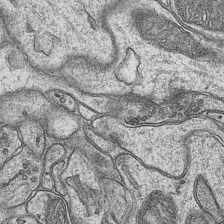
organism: Mouse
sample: CA1 Hippocampus